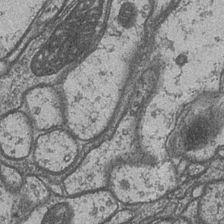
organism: Drosophila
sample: Optic medulla